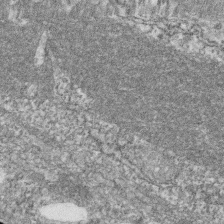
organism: Zebrafish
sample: Cilia; retinal pigment epithelium